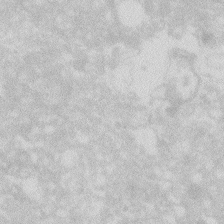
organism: Zebrafish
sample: Macrophage